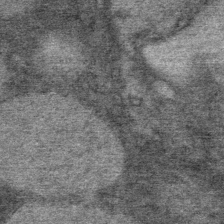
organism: Mouse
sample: Mouse Salivary gland